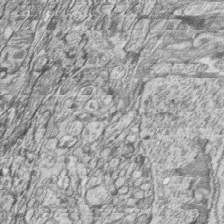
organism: Zebrafish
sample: synaptic ribbons in rod cells and cone cells